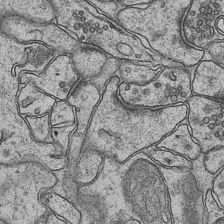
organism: Mouse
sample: CA1 Hippocampus